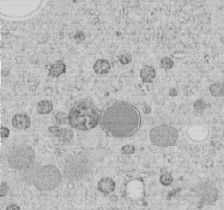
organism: C. elegans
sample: C. elegans embryo early stage